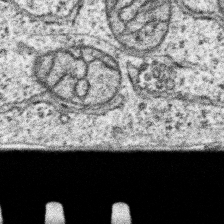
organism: Human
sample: HeLa cells